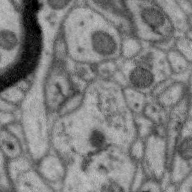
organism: Zebra finch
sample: Brain